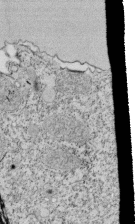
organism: Tetrahymena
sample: Cilia in tetrahymena